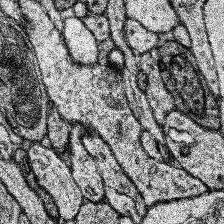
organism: Human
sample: Temporal Lobe